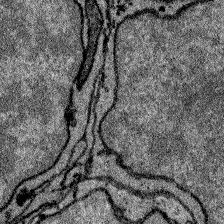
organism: Zebrafish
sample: Larval olfactory bulb